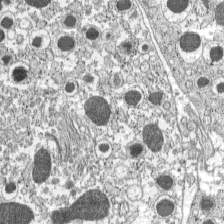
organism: C57BL Mouse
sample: Pancreatic islet